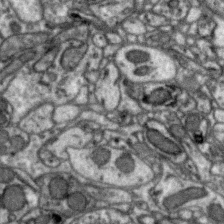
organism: Zebra finch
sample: Brain